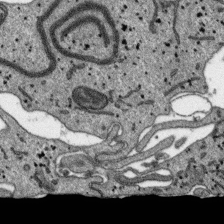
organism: Human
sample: Lung epithelial cells, uninfected (mock) control